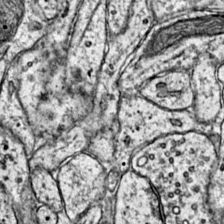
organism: Mouse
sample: Primary visual cortex